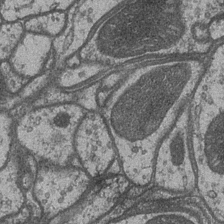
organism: Drosophila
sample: Optic medulla